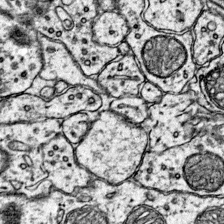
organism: Mouse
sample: Primary visual cortex